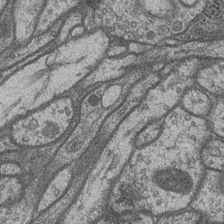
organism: Drosophila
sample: Optic medulla